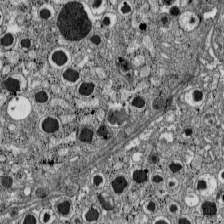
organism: C57BL Mouse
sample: Pancreatic islet